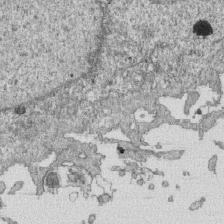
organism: Human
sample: HeLa cell HIV synapse